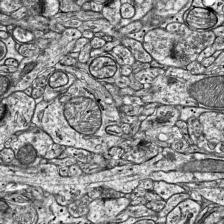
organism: Mouse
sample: Visual Cortex